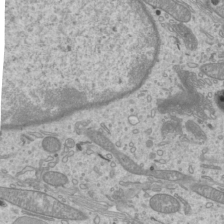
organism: Mouse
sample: Cilia; mouse epididymis